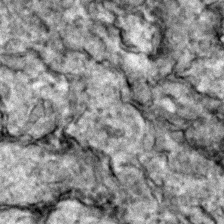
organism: Zebrafish